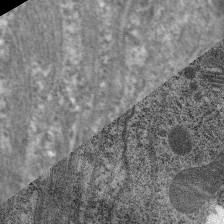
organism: C. elegans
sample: Pharynx